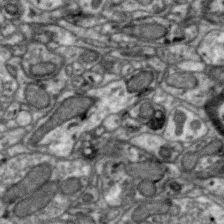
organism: Zebra finch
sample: Brain